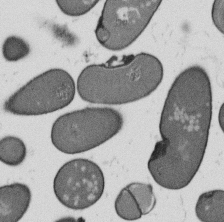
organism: B. subtilis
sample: Bacterial spore